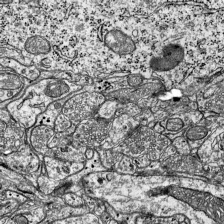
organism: Mouse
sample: Visual Cortex